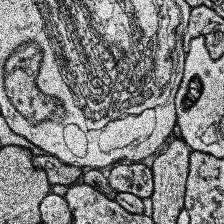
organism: Human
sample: Temporal Lobe